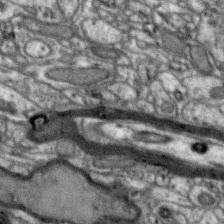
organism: Zebra finch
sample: Brain